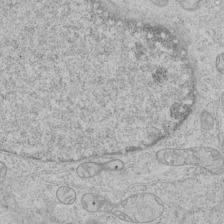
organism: Human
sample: Mitochondria in HCT116 cells